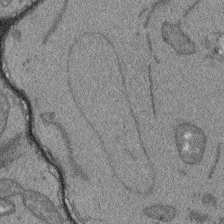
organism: Arabidopsis thaliana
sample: Root tip